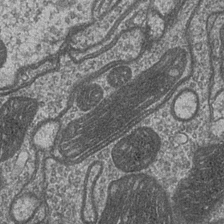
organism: Drosophila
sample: Optic medulla